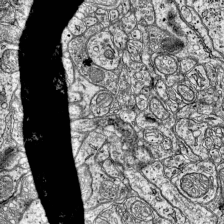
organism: Mouse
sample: Visual Cortex